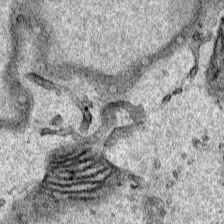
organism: Human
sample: Mitochondria in HCT116 cells